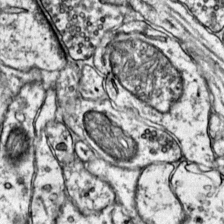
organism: Mouse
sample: Primary visual cortex